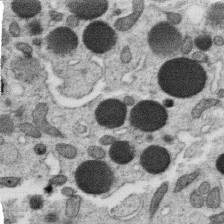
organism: C. elegans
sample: C. elegans oocyte; sperm cells